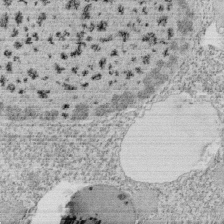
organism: Tetrahymena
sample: Cilia in tetrahymena